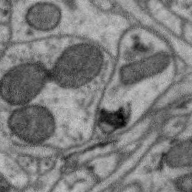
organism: Zebra finch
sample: Brain